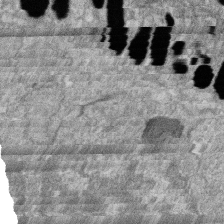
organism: Zebrafish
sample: Cilia; retinal pigment epithelium